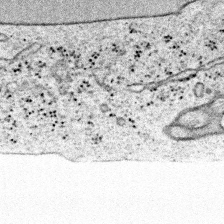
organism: Human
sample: HeLa cells